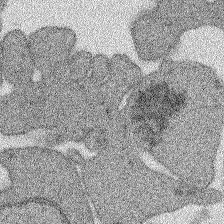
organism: Human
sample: HeLa cells